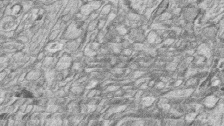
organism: Zebrafish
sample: synaptic ribbons in rod cells and cone cells